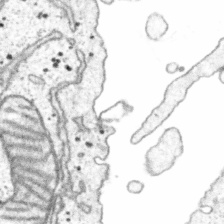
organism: Human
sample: HeLa cells